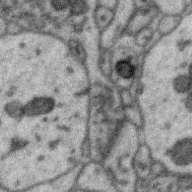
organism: Zebra finch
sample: Brain